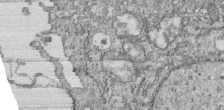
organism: Human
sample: HeLa cell HIV synapse